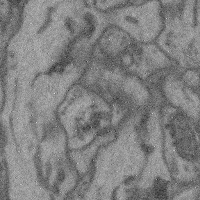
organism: Mouse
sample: Cerebral cortex